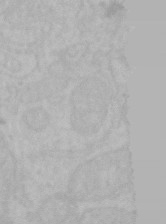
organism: Mouse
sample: Choroid plexus